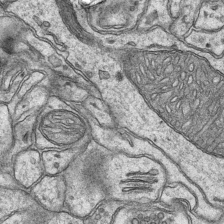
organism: Mouse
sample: CA1 Hippocampus